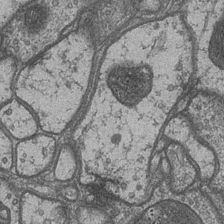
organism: Drosophila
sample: Optic medulla